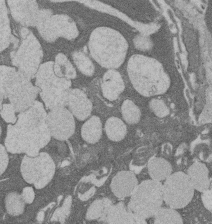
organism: Rat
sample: Salivary granule